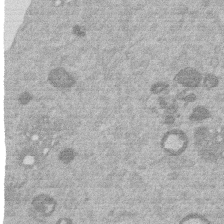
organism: Mouse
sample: Dividing mouse embryo 1 cell stage